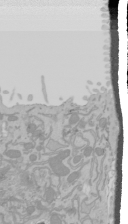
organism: Mouse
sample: Cancer cell death in ED-1 cells